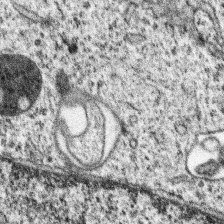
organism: Human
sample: HeLa cells